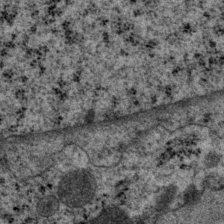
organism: P. pacificus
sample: Pharynx